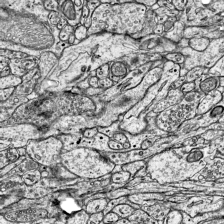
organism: Mouse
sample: Visual Cortex